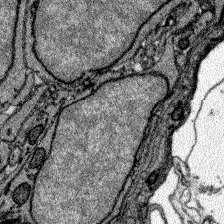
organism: Zebrafish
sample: Larval olfactory bulb